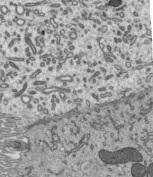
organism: Mouse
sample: Mouse epididymis efferent ductule cilia